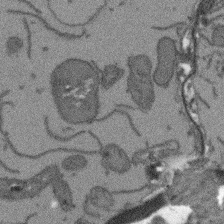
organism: Arabidopsis thaliana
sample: Root tip